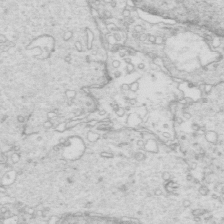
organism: Mouse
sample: Multiciliated cells